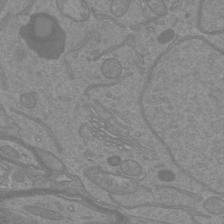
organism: Mouse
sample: Cortical neurons